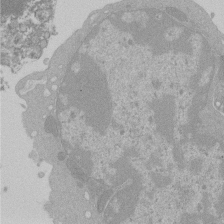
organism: Mouse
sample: Activated Pmel transgenic CD8+ T Cells